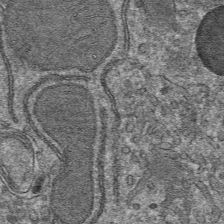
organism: Mouse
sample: Mouse hepatocytes